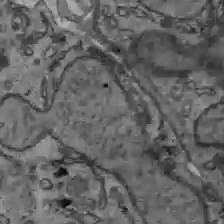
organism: C57BL Mouse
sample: Liver